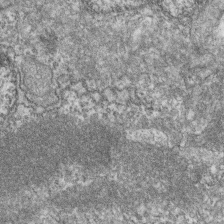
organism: Zebrafish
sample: Cilia; retinal pigment epithelium